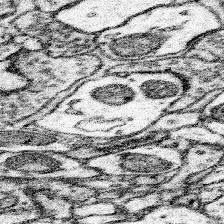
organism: Mouse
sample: Somatosensory cortex neuropil